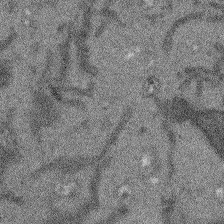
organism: Arabidopsis thaliana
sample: Root tip